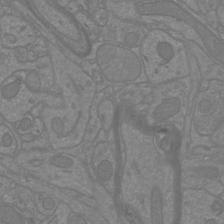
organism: Mouse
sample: Cortical neurons